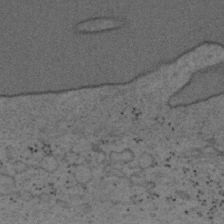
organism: Human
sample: HeLa cells